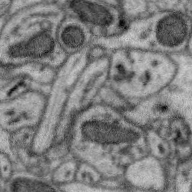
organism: Zebra finch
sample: Brain